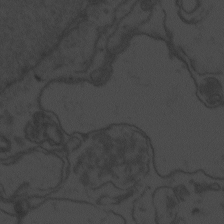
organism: Zebrafish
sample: Macrophage infected with Toxoplasma gondii